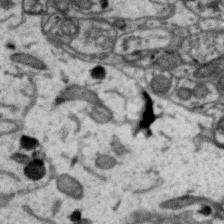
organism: Zebra finch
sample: Brain